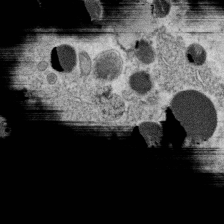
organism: C. elegans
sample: C. elegans oocyte; sperm cells